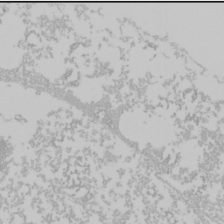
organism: Mouse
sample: Cancer cell death in ED-1 cells